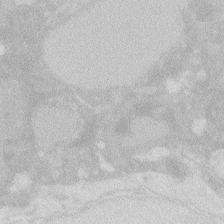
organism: Zebrafish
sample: Macrophage